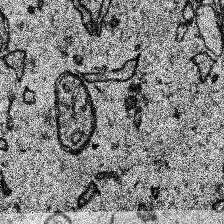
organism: Human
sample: Temporal Lobe